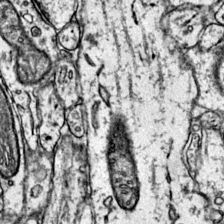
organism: Mouse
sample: Primary visual cortex